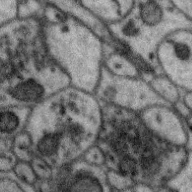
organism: Zebra finch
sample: Brain